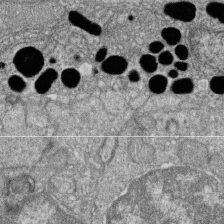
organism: Zebrafish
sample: Cilia; retinal pigment epithelium